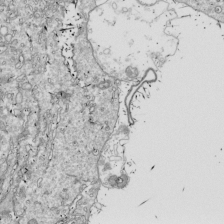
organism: Drosophila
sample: Cell division; meiosis; drosophila spermatocytes